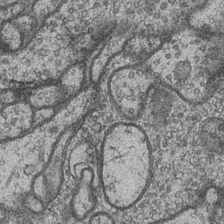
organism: Drosophila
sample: Optic medulla